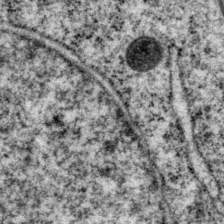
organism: P. pacificus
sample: Pharynx